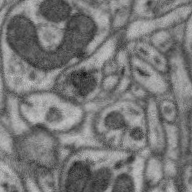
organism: Zebra finch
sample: Brain